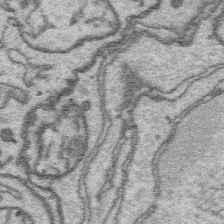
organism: Platynereis dumerilii